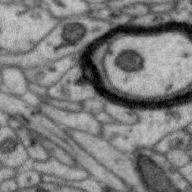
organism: Zebra finch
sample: Brain